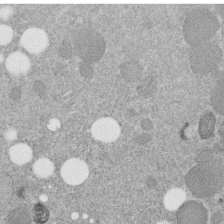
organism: C. elegans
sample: C. elegans embryo early stage